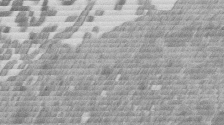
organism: Mouse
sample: Dividing mouse embryo 1 cell stage